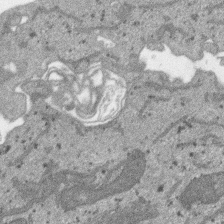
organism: Human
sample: Lung epithelial cells infected with SARS-CoV-2